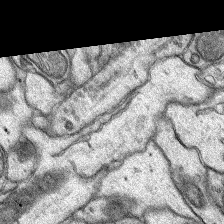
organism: Rat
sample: Hippocampus